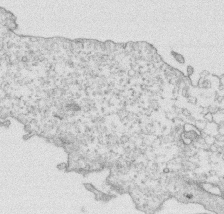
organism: Human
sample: HeLa cell HIV synapse